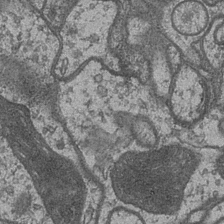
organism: Drosophila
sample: Optic medulla